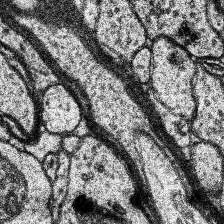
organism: Human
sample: Temporal Lobe